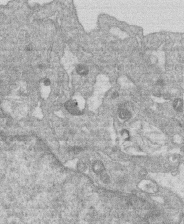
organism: Human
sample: Macrophage cells